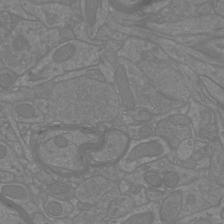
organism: Mouse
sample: Cortical neurons